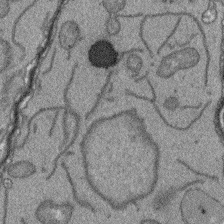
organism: Arabidopsis thaliana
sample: Root tip